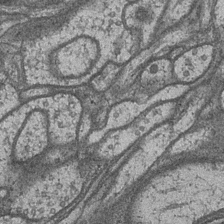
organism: Drosophila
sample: Optic medulla